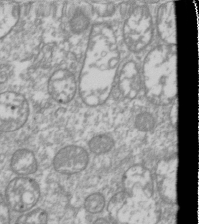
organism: Drosophila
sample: Cell division; meiosis; drosophila spermatocytes